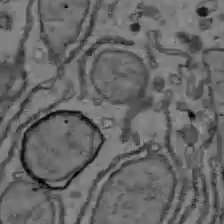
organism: C57BL Mouse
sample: Liver